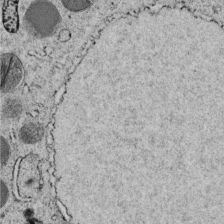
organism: C. elegans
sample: C. elegans embryo early stage